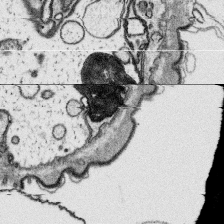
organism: Platynereis dumerilii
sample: Parapodia